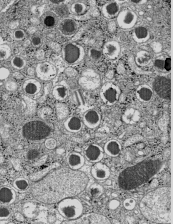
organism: C57BL Mouse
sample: Pancreatic islet